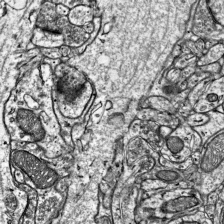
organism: Mouse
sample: Visual Cortex